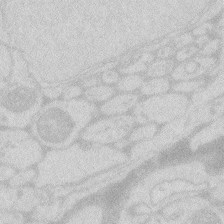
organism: Zebrafish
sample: Macrophage